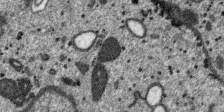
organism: Human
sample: Lung epithelial cells infected with SARS-CoV-2